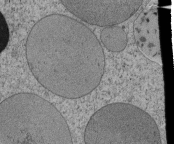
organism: Tetrahymena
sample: Cilia in tetrahymena